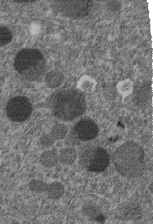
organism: C. elegans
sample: C. elegans embryo early stage